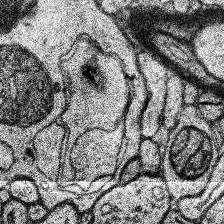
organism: Human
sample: Temporal Lobe